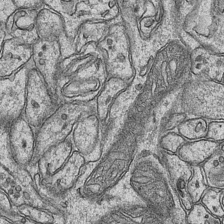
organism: Mouse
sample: CA1 Hippocampus